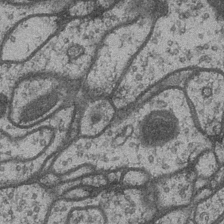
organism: Drosophila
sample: Optic medulla